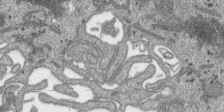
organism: Human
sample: Lung epithelial cells infected with SARS-CoV-2